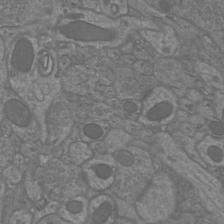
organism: Mouse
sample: Cortical neurons